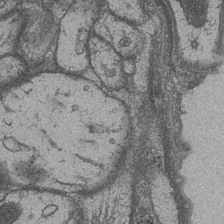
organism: Drosophila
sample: Optic medulla